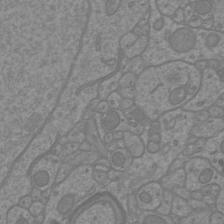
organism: Mouse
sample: Cortical neurons